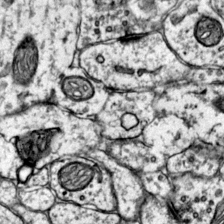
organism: Mouse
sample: Primary visual cortex